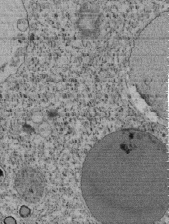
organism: Tetrahymena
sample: Cilia in tetrahymena